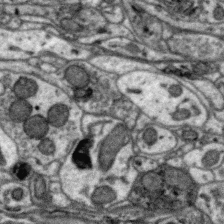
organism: Zebra finch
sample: Brain